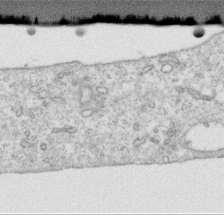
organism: Human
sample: Centriole in RPE cells